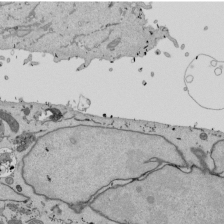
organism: Mouse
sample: ED-1 cell nuclei; centrioles